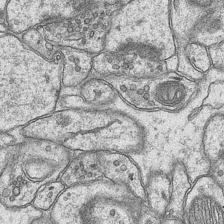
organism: Mouse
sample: CA1 Hippocampus